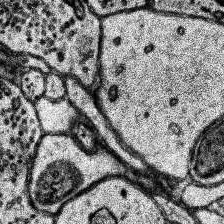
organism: Human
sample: Temporal Lobe